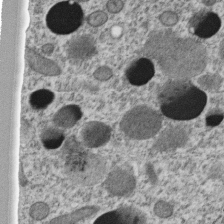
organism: C. elegans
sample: C. elegans embryo early stage